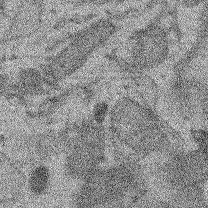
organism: Human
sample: HeLa cells